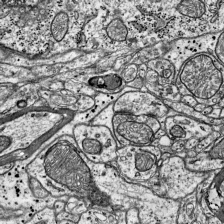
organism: Mouse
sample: Visual Cortex